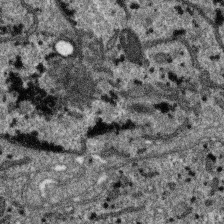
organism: Human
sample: Lung epithelial cells infected with SARS-CoV-2